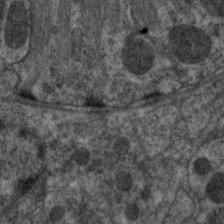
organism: C. elegans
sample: Pharynx